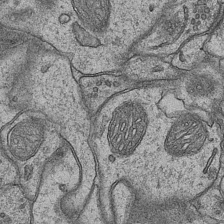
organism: Mouse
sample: CA1 Hippocampus